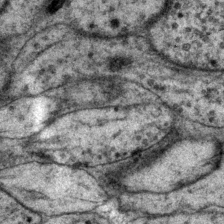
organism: P. pacificus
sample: Pharynx